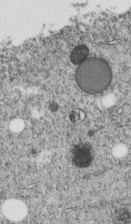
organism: C. elegans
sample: C. elegans embryo early stage